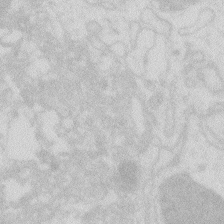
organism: Zebrafish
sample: Macrophage